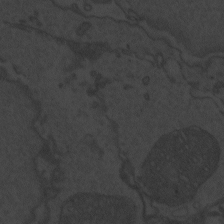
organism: Zebrafish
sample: Macrophage infected with Toxoplasma gondii